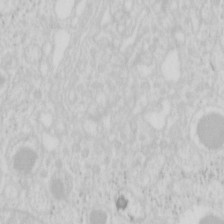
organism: Mouse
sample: Pancreas